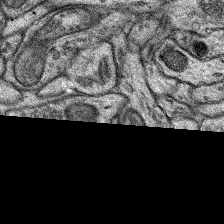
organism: Rat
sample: Hippocampus